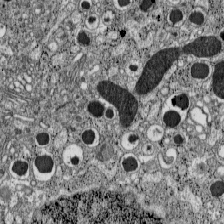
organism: C57BL Mouse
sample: Pancreatic islet